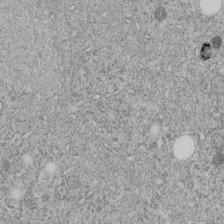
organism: C. elegans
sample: C. elegans embryo early stage